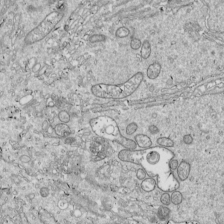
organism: Drosophila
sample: Cell division; meiosis; drosophila spermatocytes